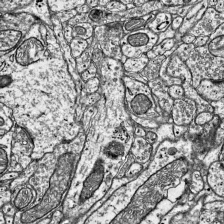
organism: Mouse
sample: Visual Cortex